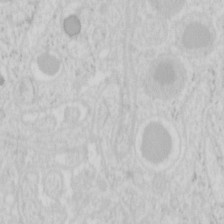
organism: Mouse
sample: Pancreas